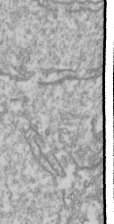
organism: Drosophila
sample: Cell division; meiosis; drosophila spermatocytes